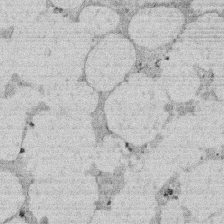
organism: Rat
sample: Salivary granule